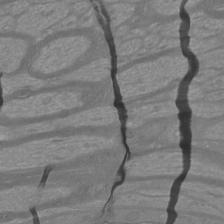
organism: Mouse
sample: Cortical neurons